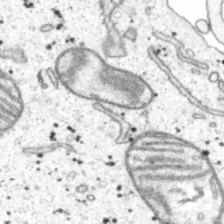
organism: Human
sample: HeLa cells